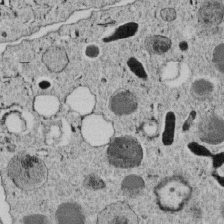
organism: C. elegans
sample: C. elegans embryo early stage